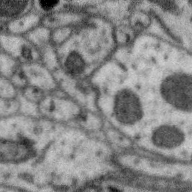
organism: Zebra finch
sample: Brain